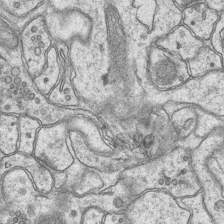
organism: Mouse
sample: CA1 Hippocampus